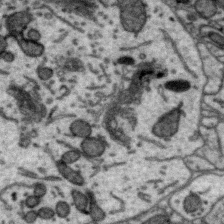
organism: Zebra finch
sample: Brain